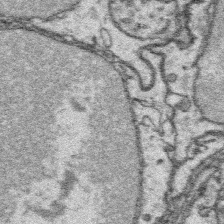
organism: Platynereis dumerilii